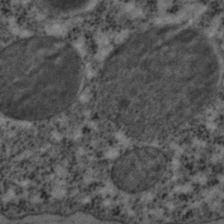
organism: C. elegans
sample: C. elegans embryo